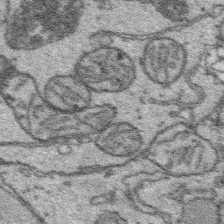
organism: Platynereis dumerilii